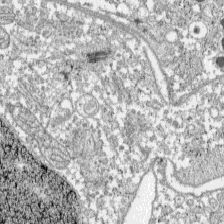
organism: C57BL Mouse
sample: Pancreatic islet